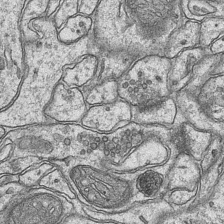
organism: Mouse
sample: CA1 Hippocampus